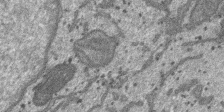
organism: Human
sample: Lung epithelial cells infected with SARS-CoV-2